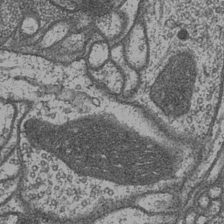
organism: Drosophila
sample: Optic medulla